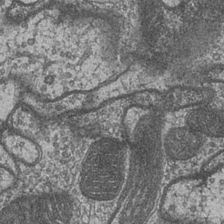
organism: Drosophila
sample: Optic medulla